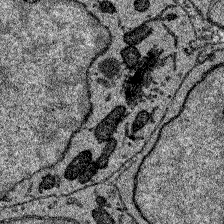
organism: Zebrafish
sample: Larval olfactory bulb